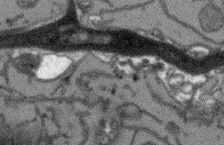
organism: Arabidopsis thaliana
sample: Root tip